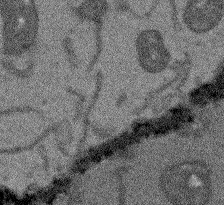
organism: Arabidopsis thaliana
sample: Root tip